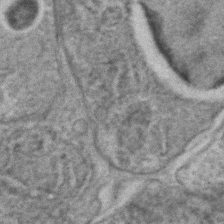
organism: C. elegans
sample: C. elegans embryo